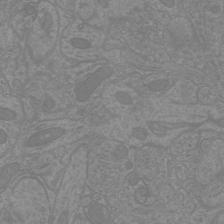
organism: Mouse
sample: Cortical neurons